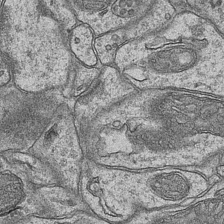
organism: Mouse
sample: CA1 Hippocampus